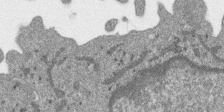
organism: Human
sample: Lung epithelial cells infected with SARS-CoV-2